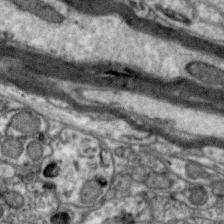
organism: Zebra finch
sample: Brain